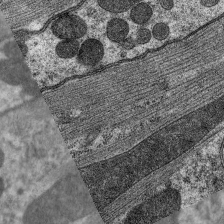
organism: C. elegans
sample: Pharynx